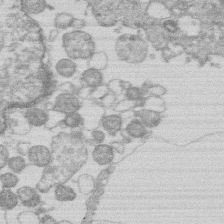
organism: Human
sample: Macrophage cells